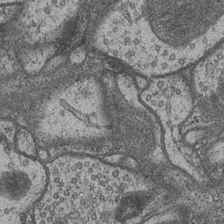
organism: Drosophila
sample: Optic medulla